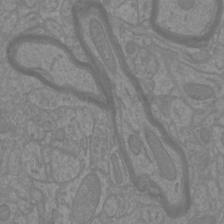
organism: Mouse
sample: Cortical neurons